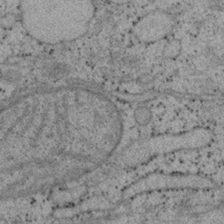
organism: Human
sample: HeLa cells